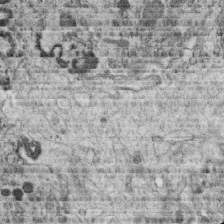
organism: C. elegans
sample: C. elegans oocyte; sperm cells